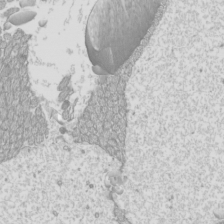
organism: Mouse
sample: Cilia; mouse epididymis